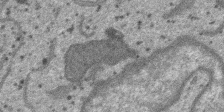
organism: Human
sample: Lung epithelial cells infected with SARS-CoV-2